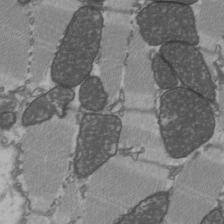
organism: C57BL Mouse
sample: Heart